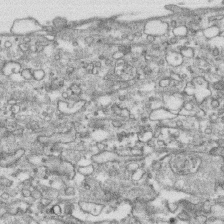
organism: Human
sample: CRL-1474